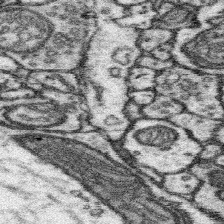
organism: Mouse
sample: Somatosensory cortex neuropil